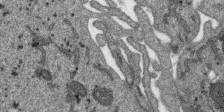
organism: Human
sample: Lung epithelial cells infected with SARS-CoV-2